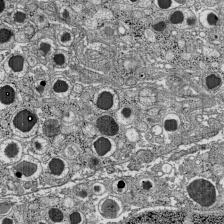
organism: C57BL Mouse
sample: Pancreatic islet